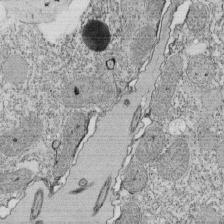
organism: Tetrahymena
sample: Cilia in tetrahymena